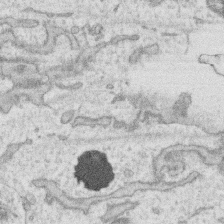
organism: Human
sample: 1205lu cells